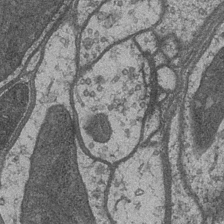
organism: Drosophila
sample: Optic medulla